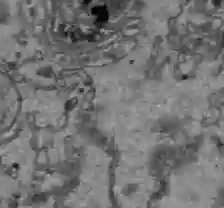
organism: C57BL Mouse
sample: Liver